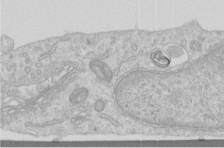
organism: Human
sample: Centriole in RPE cells